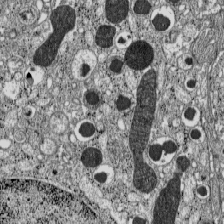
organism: C57BL Mouse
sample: Pancreatic islet